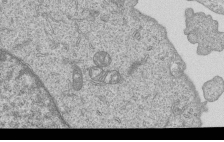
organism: Human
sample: MDA-MB-231 cells